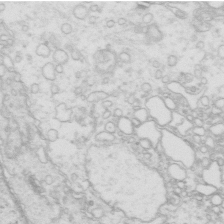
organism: Mouse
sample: Multiciliated cells